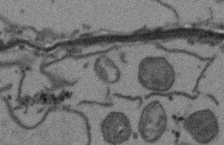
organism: Arabidopsis thaliana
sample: Root tip